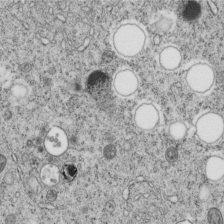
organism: C. elegans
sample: C. elegans embryo early stage